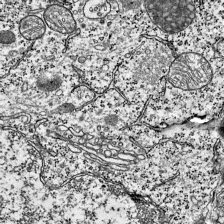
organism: Mouse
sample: Visual Cortex